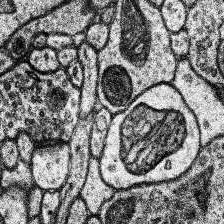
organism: Human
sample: Temporal Lobe